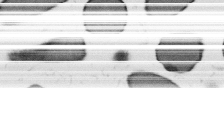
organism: B. subtilis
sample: Bacterial spore